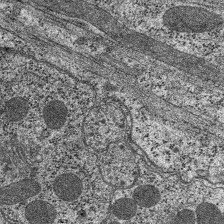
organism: C. elegans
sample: Pharynx